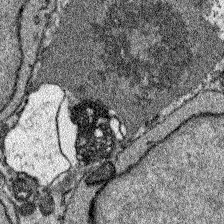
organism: Zebrafish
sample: Larval olfactory bulb